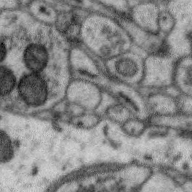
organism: Zebra finch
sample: Brain